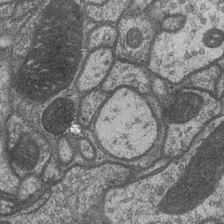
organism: Drosophila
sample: Optic medulla